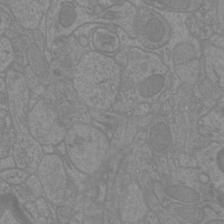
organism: Mouse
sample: Cortical neurons